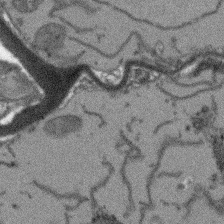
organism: Arabidopsis thaliana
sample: Root tip